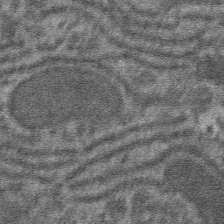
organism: Mouse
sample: Mouse hepatocytes